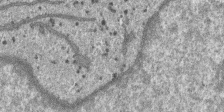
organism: Human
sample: Lung epithelial cells infected with SARS-CoV-2